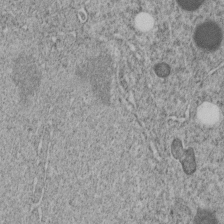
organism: C. elegans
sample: C. elegans embryo early stage